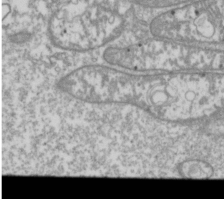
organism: Drosophila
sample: Cell division; meiosis; drosophila spermatocytes